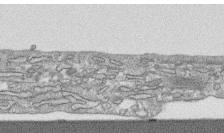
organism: Human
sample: CRL-1474